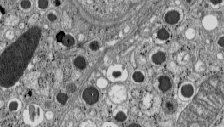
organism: C57BL Mouse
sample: Pancreatic islet